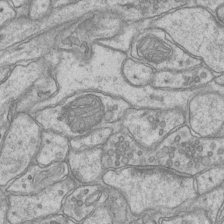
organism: Mouse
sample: CA1 Hippocampus